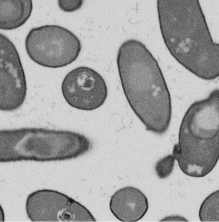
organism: B. subtilis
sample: Bacterial spore